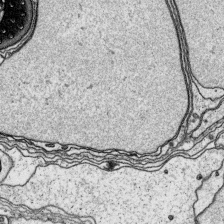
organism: Platynereis dumerilii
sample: Parapodia